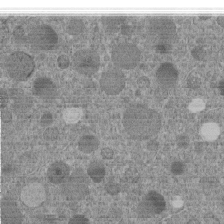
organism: C. elegans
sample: C. elegans embryo early stage